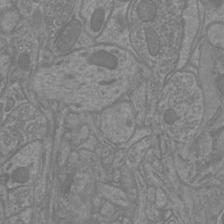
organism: Mouse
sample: Cortical neurons